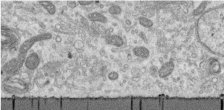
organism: Human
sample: Centriole in RPE cells